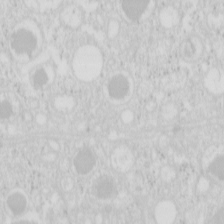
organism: Mouse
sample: Pancreas